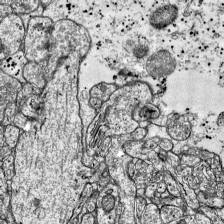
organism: Mouse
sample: Visual Cortex